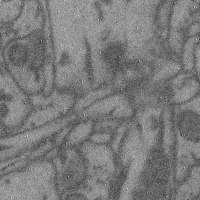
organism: Mouse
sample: Cerebral cortex